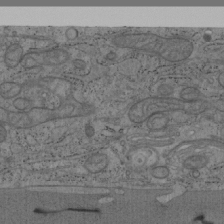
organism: Human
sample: HeLa cells